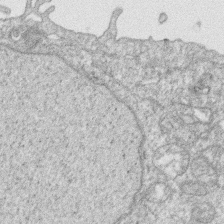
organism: Human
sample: HeLa cell HIV synapse